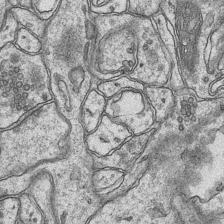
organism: Mouse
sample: CA1 Hippocampus